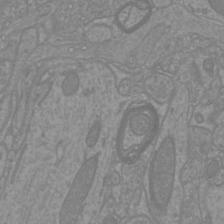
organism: Mouse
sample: Cortical neurons